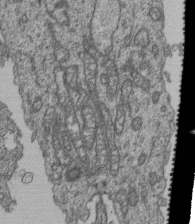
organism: Human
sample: Retinal organoid Rod and Cone cells